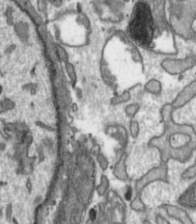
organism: Toxoplasma gondii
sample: Parasites in a vacuole inside a host cell